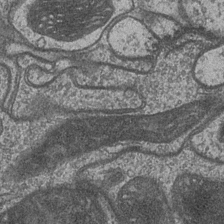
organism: Drosophila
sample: Optic medulla